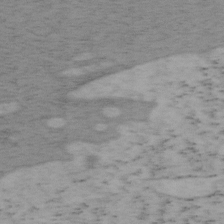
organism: Mouse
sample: OT-I killer T cells with ID8 ovarian cancer cells